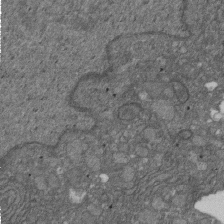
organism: Drosophila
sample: Nephrocyte